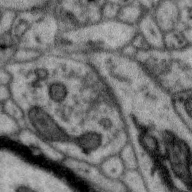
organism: Zebra finch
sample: Brain